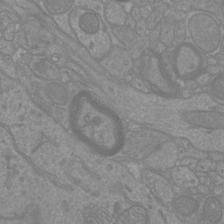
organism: Mouse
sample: Cortical neurons